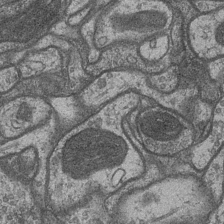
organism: Drosophila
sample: Optic medulla